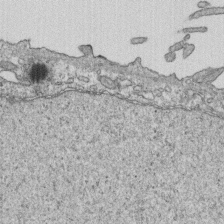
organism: Human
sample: HeLa cell HIV synapse